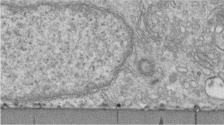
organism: Human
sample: Centriole in fibroblast cells